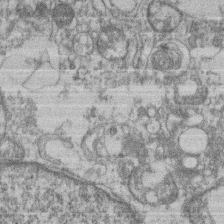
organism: Mouse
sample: T cell stromal cell synapse